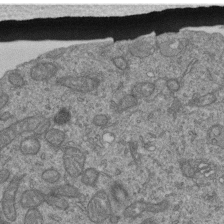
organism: Human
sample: Retinal organoid Rod and Cone cells